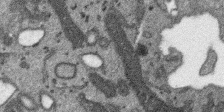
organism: Human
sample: Lung epithelial cells infected with SARS-CoV-2